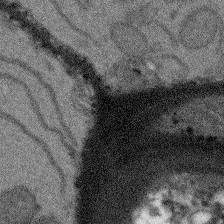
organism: Arabidopsis thaliana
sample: Root tip